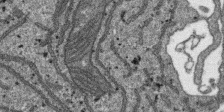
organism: Human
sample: Lung epithelial cells infected with SARS-CoV-2